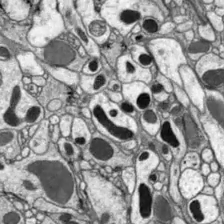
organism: Drosophila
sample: Optic lobe